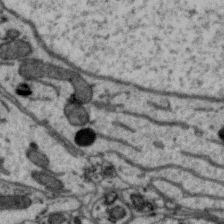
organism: Zebra finch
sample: Brain